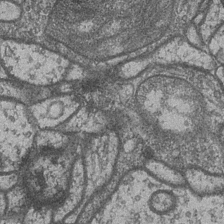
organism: Drosophila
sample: Optic medulla